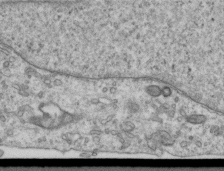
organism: Human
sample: Centriole in RPE cells